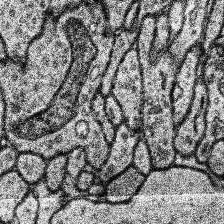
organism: Human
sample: Temporal Lobe